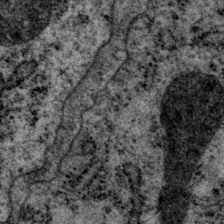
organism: P. pacificus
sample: Pharynx